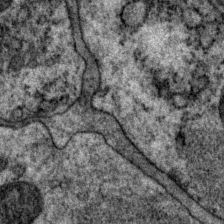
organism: P. pacificus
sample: Pharynx